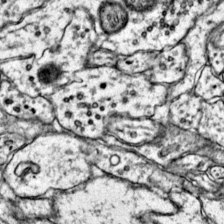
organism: Mouse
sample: Primary visual cortex